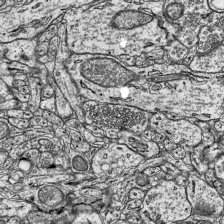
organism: Mouse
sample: Visual Cortex